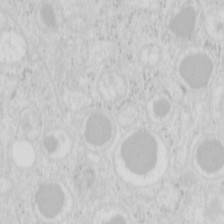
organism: Mouse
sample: Pancreas